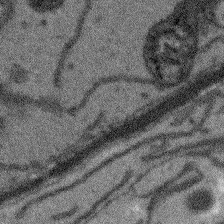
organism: Arabidopsis thaliana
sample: Root tip